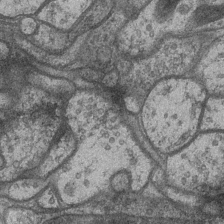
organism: Drosophila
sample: Optic medulla